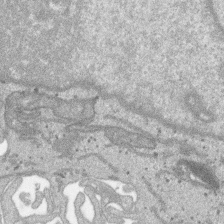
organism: Human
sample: Lung epithelial cells infected with SARS-CoV-2